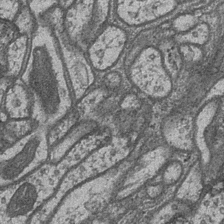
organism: Drosophila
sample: Optic medulla